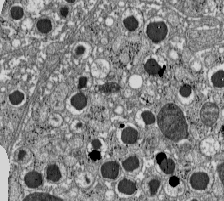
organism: C57BL Mouse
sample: Pancreatic islet